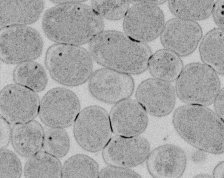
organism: E. coli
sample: Bacterial nucleoid